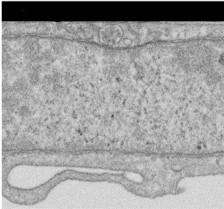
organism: Human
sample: Centriole in RPE cells